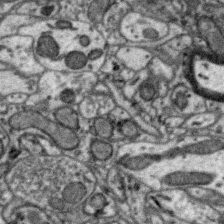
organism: Zebra finch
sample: Brain